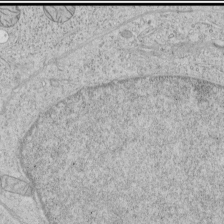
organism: Human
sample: Mitochondria in HCT116 cells